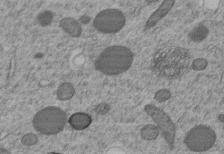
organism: C. elegans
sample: C. elegans embryo early stage